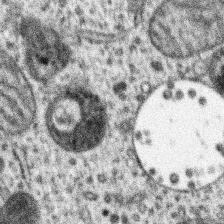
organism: Human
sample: HeLa cells